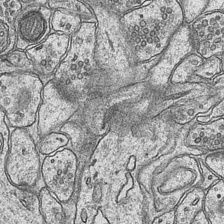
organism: Mouse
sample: CA1 Hippocampus